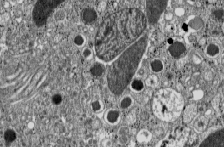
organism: C57BL Mouse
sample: Pancreatic islet